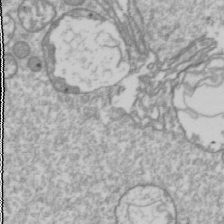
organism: Drosophila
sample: Cell division; meiosis; drosophila spermatocytes